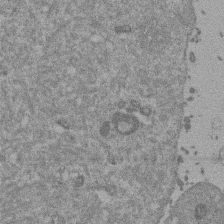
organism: Mouse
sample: Dividing mouse embryo 1 cell stage